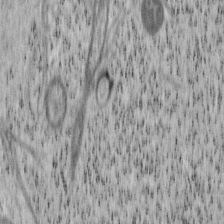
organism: Human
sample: HeLa cells